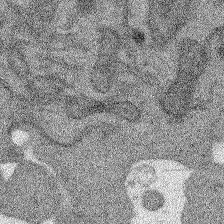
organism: Human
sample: HeLa cells